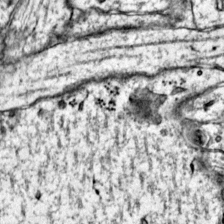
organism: Mouse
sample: Primary visual cortex